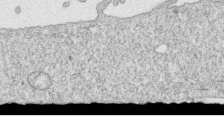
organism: Human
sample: HeLa cell HIV synapse